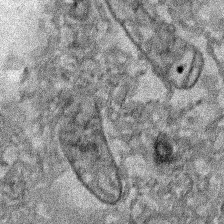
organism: Human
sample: Mitochondria in HCT116 cells